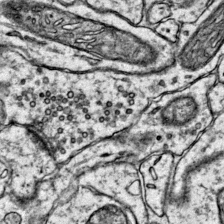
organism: Mouse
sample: Primary visual cortex